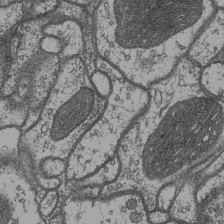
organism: Drosophila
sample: Optic medulla